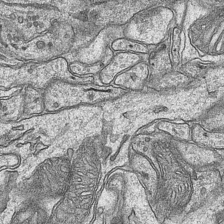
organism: Mouse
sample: CA1 Hippocampus